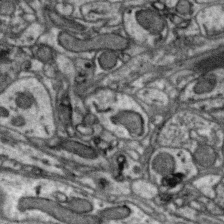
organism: Zebra finch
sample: Brain